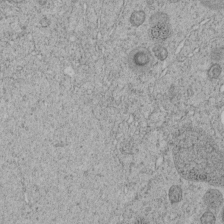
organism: C. elegans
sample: C. elegans embryo early stage